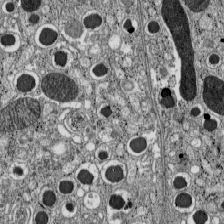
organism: C57BL Mouse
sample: Pancreatic islet